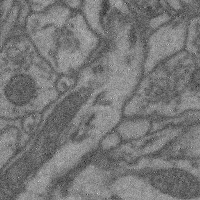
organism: Mouse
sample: Cerebral cortex